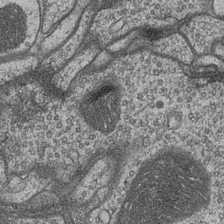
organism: Drosophila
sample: Optic medulla